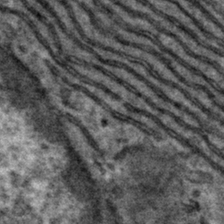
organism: Mouse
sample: Mouse hepatocytes